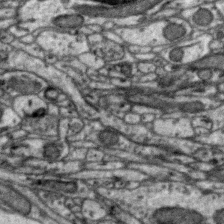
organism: Zebra finch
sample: Brain